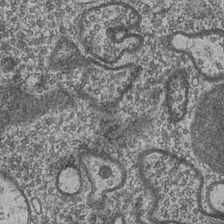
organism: Drosophila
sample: Optic medulla